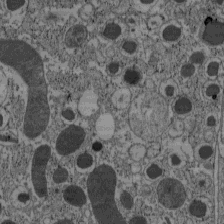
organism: C57BL Mouse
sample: Pancreatic islet